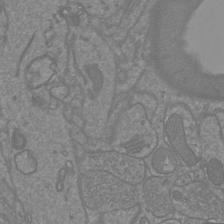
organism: Mouse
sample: Cortical neurons